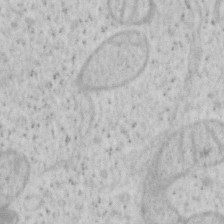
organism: Human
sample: HeLa cells